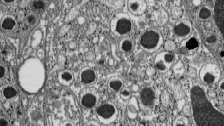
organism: C57BL Mouse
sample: Pancreatic islet